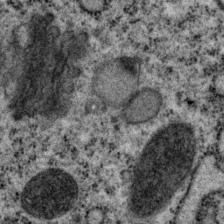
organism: P. pacificus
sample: Pharynx